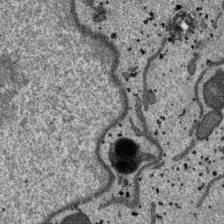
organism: Human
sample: Lung epithelial cells, uninfected (mock) control